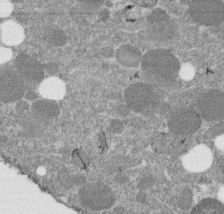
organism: C. elegans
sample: C. elegans embryo early stage